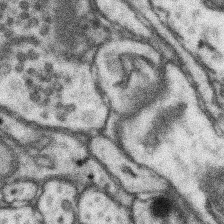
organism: Mouse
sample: Somatosensory cortex neuropil